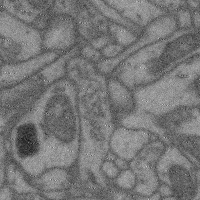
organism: Mouse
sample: Cerebral cortex